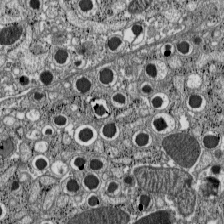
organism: C57BL Mouse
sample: Pancreatic islet